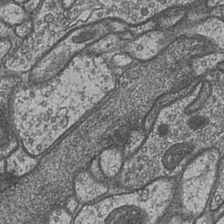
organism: Drosophila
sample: Optic medulla